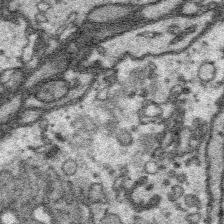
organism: Platynereis dumerilii